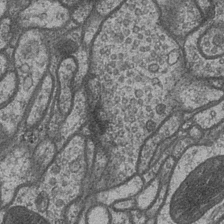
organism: Drosophila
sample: Optic medulla